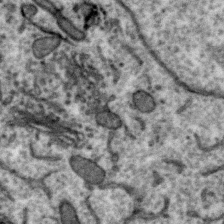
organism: Zebra finch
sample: Brain